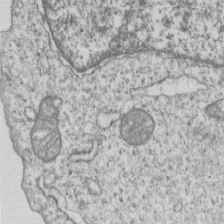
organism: Human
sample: MDA-MB-231 cells